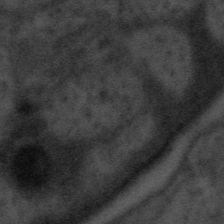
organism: Tuwongella immobilis